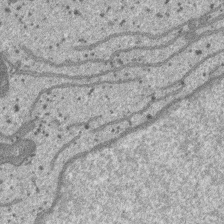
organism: Human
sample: Lung epithelial cells infected with SARS-CoV-2